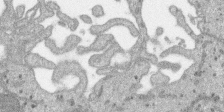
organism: Human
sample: Lung epithelial cells infected with SARS-CoV-2